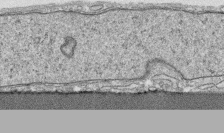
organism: Human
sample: CRL-1474